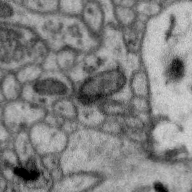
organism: Zebra finch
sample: Brain